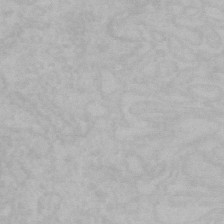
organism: Mouse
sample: Choroid plexus